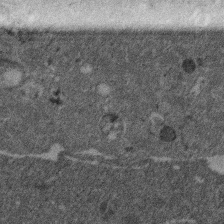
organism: Mouse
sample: Dividing mouse embryo 1 cell stage